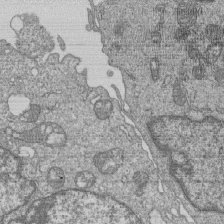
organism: Human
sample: MDA-MB-231 cells